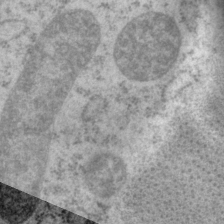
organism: P. pacificus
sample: Pharynx